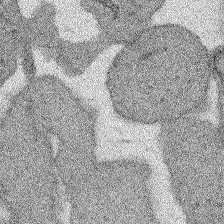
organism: Human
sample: HeLa cells